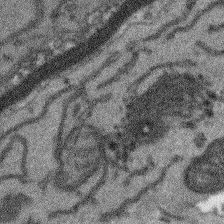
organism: Arabidopsis thaliana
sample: Root tip